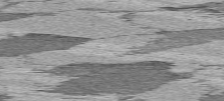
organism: C57BL Mouse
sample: Heart